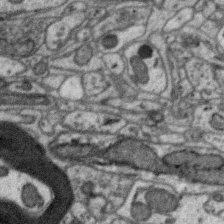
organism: Zebra finch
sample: Brain